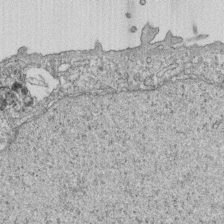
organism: Human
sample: HeLa cell HIV synapse